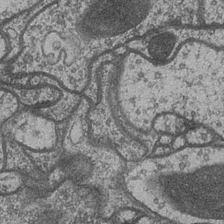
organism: Drosophila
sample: Optic medulla